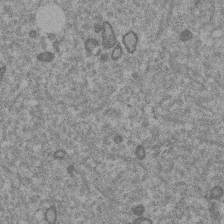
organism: Mouse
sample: Dividing mouse embryo 1 cell stage